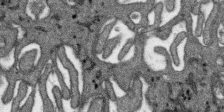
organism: Human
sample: Lung epithelial cells, uninfected (mock) control